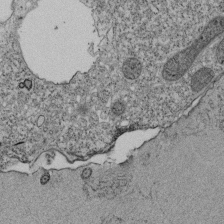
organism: Tetrahymena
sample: Cilia in tetrahymena